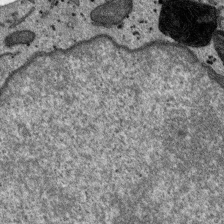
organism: Human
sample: Lung epithelial cells, uninfected (mock) control